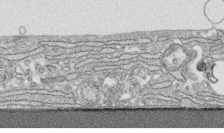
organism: Human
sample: CRL-1474